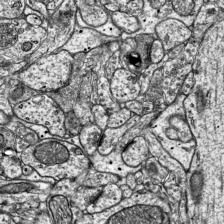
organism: Mouse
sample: Visual Cortex